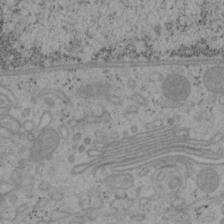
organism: Human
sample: HeLa cells